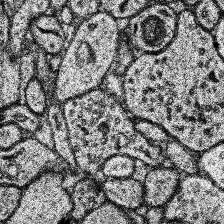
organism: Human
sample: Temporal Lobe